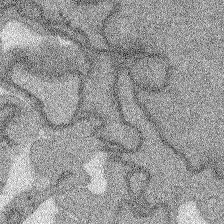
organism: Human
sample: HeLa cells